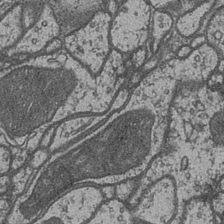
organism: Drosophila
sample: Optic medulla